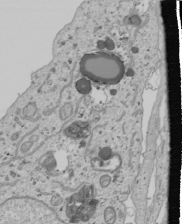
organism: Human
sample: Mitochondria in U2OS cells